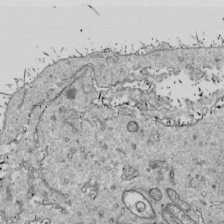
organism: Drosophila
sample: Cell division; meiosis; drosophila spermatocytes